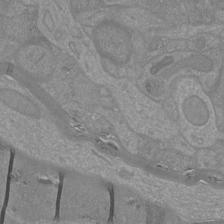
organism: Mouse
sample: Cortical neurons